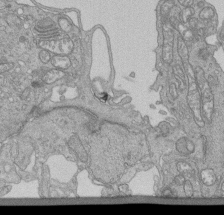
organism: Human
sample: Retinal organoid Rod and Cone cells